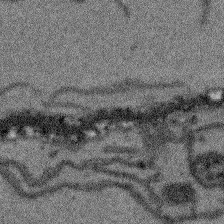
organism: Arabidopsis thaliana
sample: Root tip